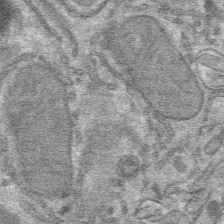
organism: Mouse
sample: Mouse hepatocytes